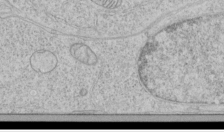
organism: Human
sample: Mitochondria in HCT116 cells